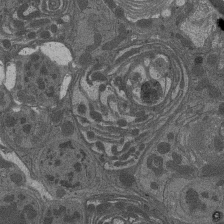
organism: Drosophila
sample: Antenna